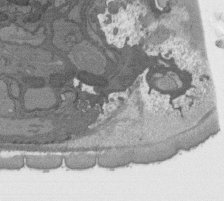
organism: C. elegans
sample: AFD neurons C. elegans